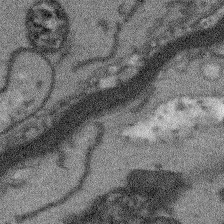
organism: Arabidopsis thaliana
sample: Root tip